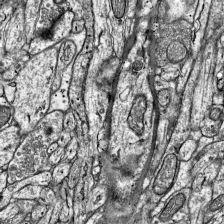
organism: Mouse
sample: Visual Cortex